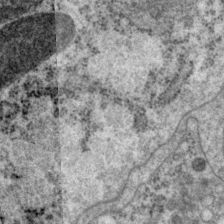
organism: P. pacificus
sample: Pharynx